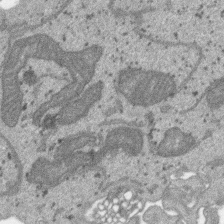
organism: Human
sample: Lung epithelial cells infected with SARS-CoV-2